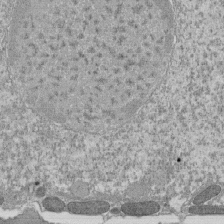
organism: Tetrahymena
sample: Cilia in tetrahymena